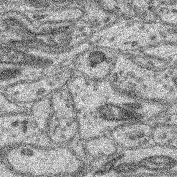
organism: Mouse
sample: Retina